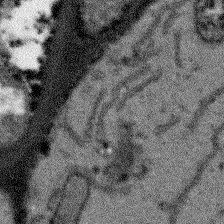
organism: Arabidopsis thaliana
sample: Root tip